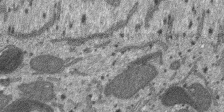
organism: Human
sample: Lung epithelial cells infected with SARS-CoV-2